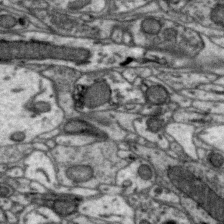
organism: Zebra finch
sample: Brain